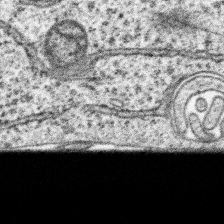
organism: Human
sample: HeLa cells